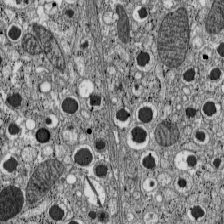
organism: C57BL Mouse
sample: Pancreatic islet